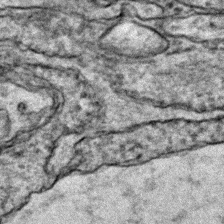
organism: Zebrafish